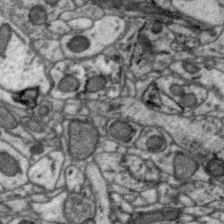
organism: Zebra finch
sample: Brain